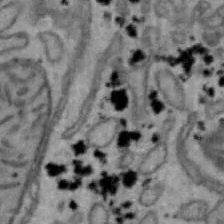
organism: Mouse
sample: Liver